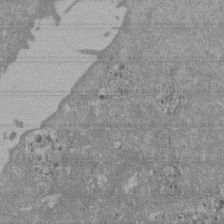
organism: Mouse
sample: ED-1 cell nuclei; centrioles